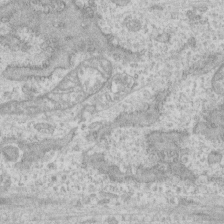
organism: Human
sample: CRL-1474